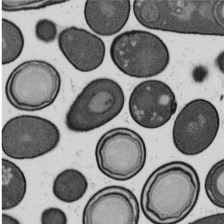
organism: B. subtilis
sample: Bacterial spore